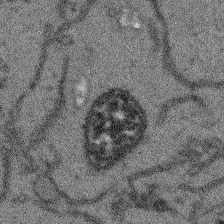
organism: Arabidopsis thaliana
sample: Root tip